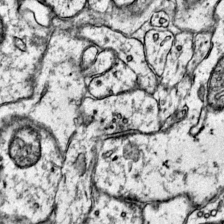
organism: Mouse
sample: Primary visual cortex